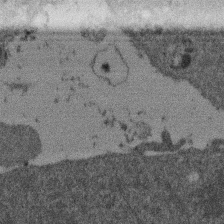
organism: Mouse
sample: Dividing mouse embryo 1 cell stage